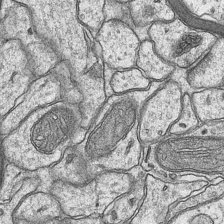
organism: Mouse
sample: CA1 Hippocampus